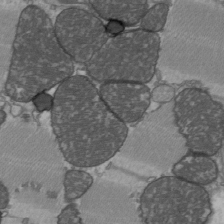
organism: C57BL Mouse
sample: Heart